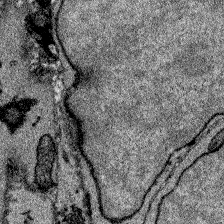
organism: Zebrafish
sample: Larval olfactory bulb